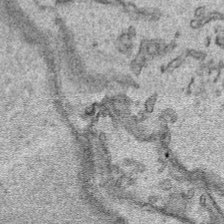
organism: Human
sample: Mitochondria in HCT116 cells